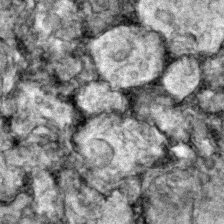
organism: Zebrafish